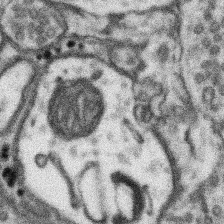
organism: Mouse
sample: Somatosensory cortex neuropil